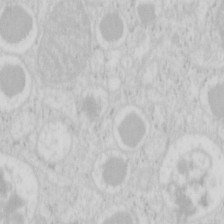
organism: Mouse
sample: Pancreas